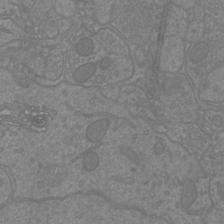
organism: Mouse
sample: Cortical neurons